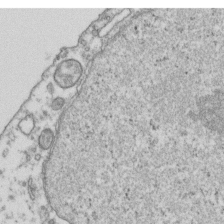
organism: Human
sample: Activated Jurkat CD4+ T cells